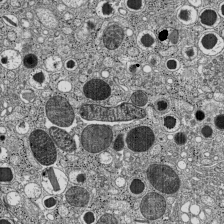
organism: C57BL Mouse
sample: Pancreatic islet